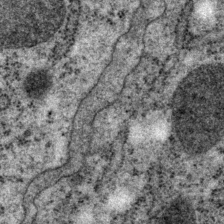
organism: P. pacificus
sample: Pharynx